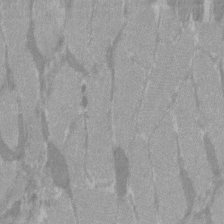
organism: C57BL Mouse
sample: Tibialis anterior muscle cell